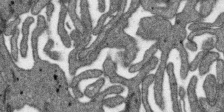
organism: Human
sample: Lung epithelial cells, uninfected (mock) control